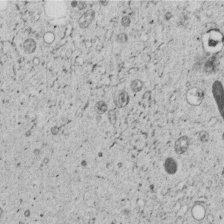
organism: C. elegans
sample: C. elegans embryo early stage